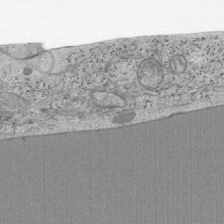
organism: Human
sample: HeLa cells